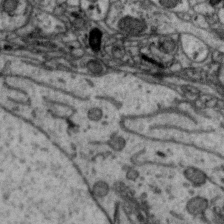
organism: Zebra finch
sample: Brain